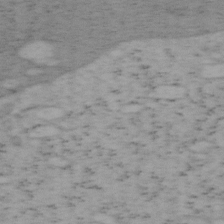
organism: Mouse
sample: OT-I killer T cells with ID8 ovarian cancer cells